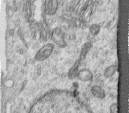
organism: Human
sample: Centriole in RPE cells